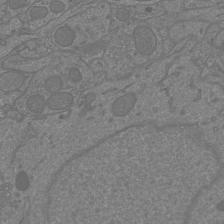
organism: Mouse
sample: Cortical neurons